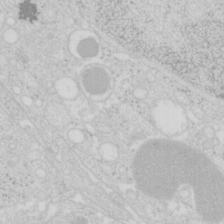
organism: Mouse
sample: Pancreas